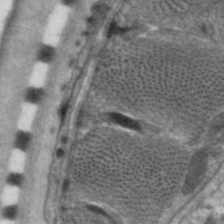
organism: C. elegans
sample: Pharynx